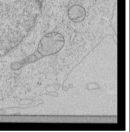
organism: Human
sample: Mitochondria in HCT116 cells